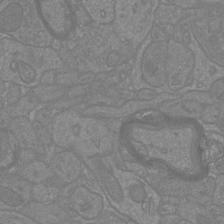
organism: Mouse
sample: Cortical neurons